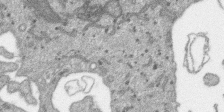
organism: Human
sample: Lung epithelial cells infected with SARS-CoV-2